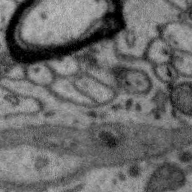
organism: Zebra finch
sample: Brain